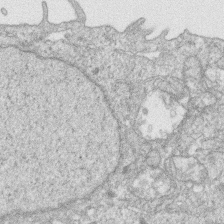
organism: Human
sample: HeLa cell HIV synapse